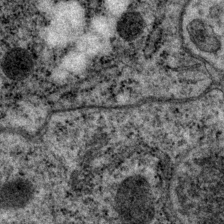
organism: P. pacificus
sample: Pharynx